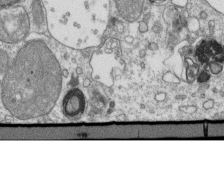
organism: Mouse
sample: Activated OT-1 CD8+ T cells